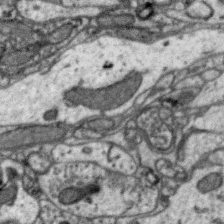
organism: Zebra finch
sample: Brain